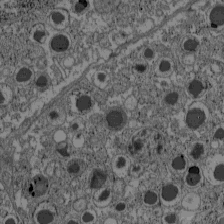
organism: C57BL Mouse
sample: Pancreatic islet